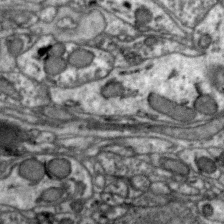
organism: Zebra finch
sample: Brain